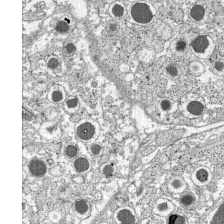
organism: C57BL Mouse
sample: Pancreatic islet